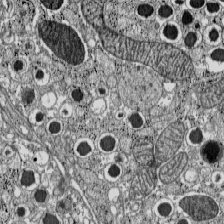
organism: C57BL Mouse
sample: Pancreatic islet